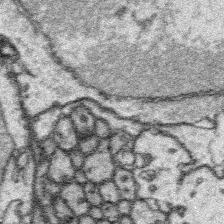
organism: Platynereis dumerilii